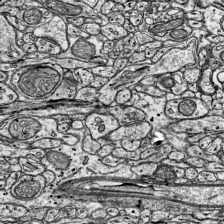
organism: Mouse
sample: Visual Cortex